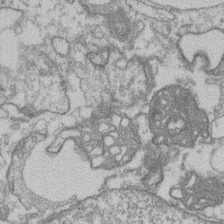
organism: Mouse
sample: T cell stromal cell synapse